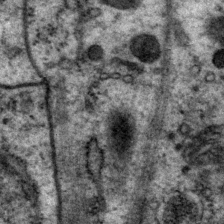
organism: P. pacificus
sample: Pharynx